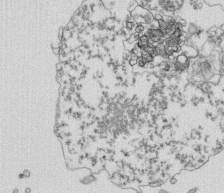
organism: Human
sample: HeLa cell HIV synapse